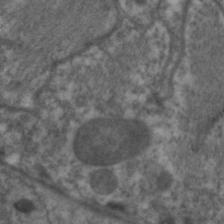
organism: C. elegans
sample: Pharynx